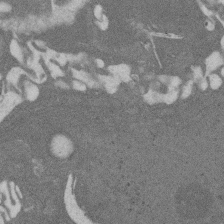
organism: Rat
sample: Salivary granule